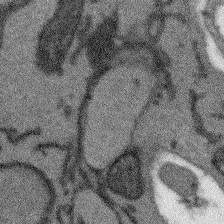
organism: Arabidopsis thaliana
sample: Root tip